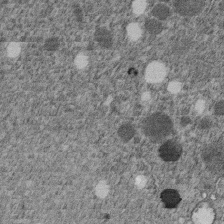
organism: C. elegans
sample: C. elegans embryo early stage